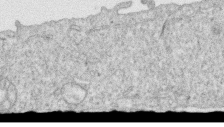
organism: Human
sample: HeLa cell HIV synapse